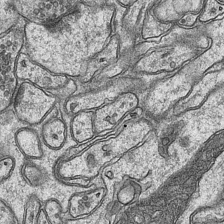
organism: Mouse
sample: CA1 Hippocampus